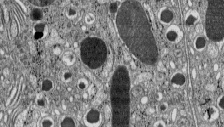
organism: C57BL Mouse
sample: Pancreatic islet